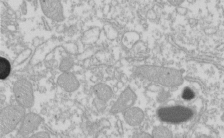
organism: Xenopus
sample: Cilia; centrioles in frog embryo cells